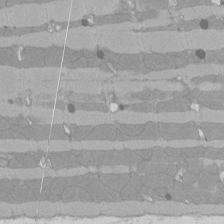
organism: Rat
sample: Left ventricle